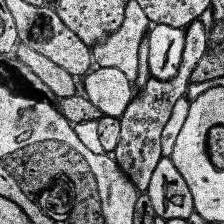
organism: Human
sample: Temporal Lobe